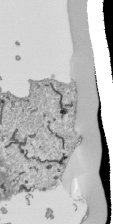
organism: Human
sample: Mitochondria in HCT116 cells